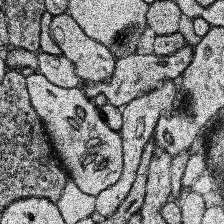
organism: Human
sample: Temporal Lobe